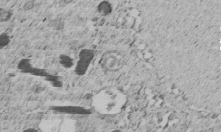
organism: C. elegans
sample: C. elegans embryo early stage